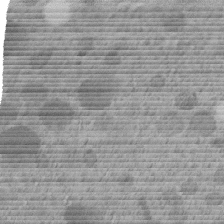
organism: C. elegans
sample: C. elegans embryo early stage